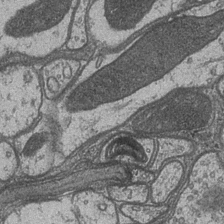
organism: Drosophila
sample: Optic medulla